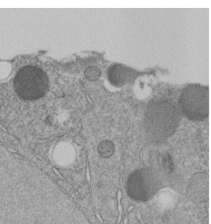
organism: C. elegans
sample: C. elegans embryo early stage